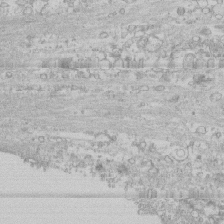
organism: Human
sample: CRL-1474